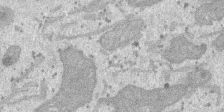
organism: Human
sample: Lung epithelial cells infected with SARS-CoV-2